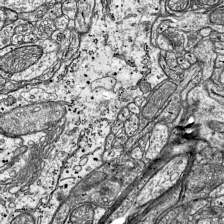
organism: Mouse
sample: Visual Cortex